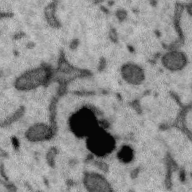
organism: Zebra finch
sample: Brain